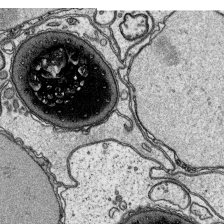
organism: Platynereis dumerilii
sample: Parapodia